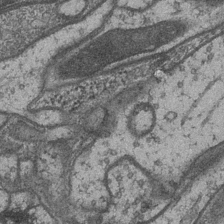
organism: Drosophila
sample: Optic medulla